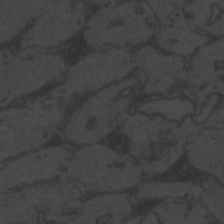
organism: Zebrafish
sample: Macrophage infected with Toxoplasma gondii